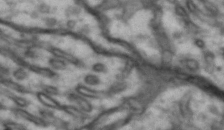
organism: Drosophila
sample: Brain